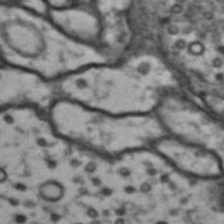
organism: Drosophila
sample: Brain